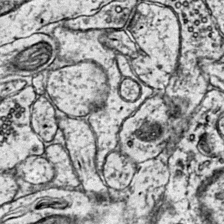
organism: Mouse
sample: Primary visual cortex